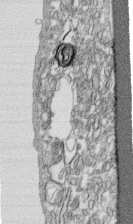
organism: Human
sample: CRL-1474